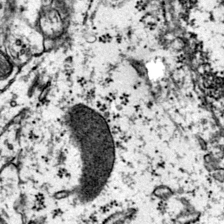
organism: Mouse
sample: Primary visual cortex